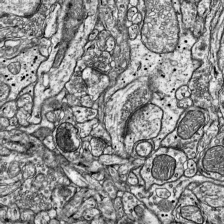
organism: Mouse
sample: Visual Cortex